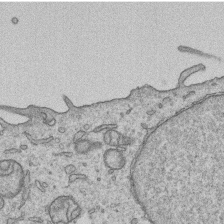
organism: Human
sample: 1205lu cells